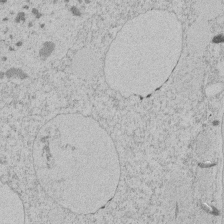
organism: Tetrahymena